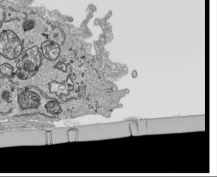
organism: Human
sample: Mitochondria in HCT116 cells